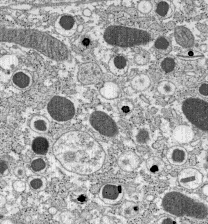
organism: C57BL Mouse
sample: Pancreatic islet